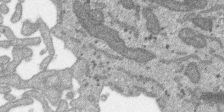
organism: Human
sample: Lung epithelial cells infected with SARS-CoV-2